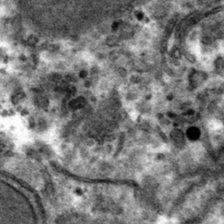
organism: Mouse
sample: Mouse hepatocytes